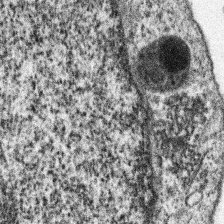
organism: Human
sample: HeLa cells